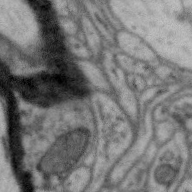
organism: Zebra finch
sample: Brain